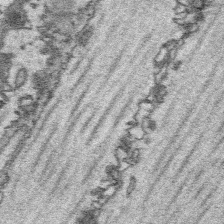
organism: Platynereis dumerilii